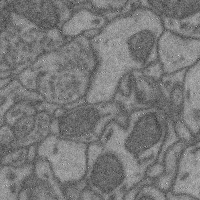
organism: Mouse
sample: Cerebral cortex